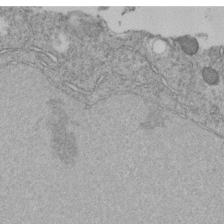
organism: C. elegans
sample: C. elegans embryo early stage